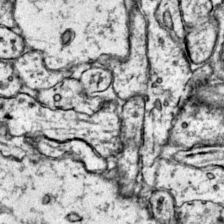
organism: Mouse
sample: Primary visual cortex